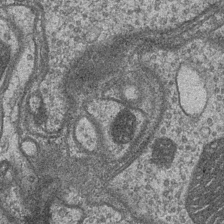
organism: Drosophila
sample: Optic medulla